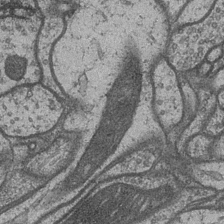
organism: Drosophila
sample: Optic medulla